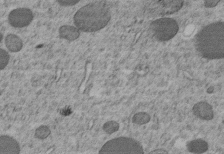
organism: C. elegans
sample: C. elegans embryo early stage